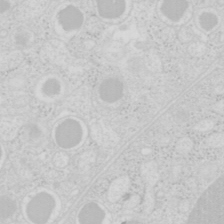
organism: Mouse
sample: Pancreas